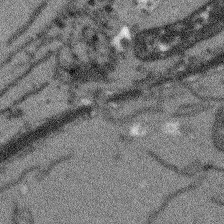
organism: Arabidopsis thaliana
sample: Root tip